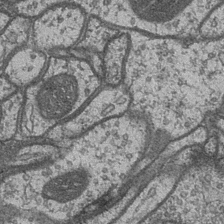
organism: Drosophila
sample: Optic medulla